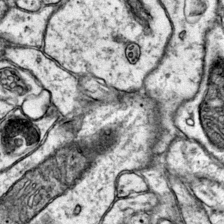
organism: Mouse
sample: Primary visual cortex